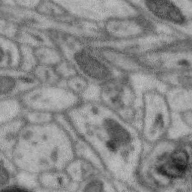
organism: Zebra finch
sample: Brain